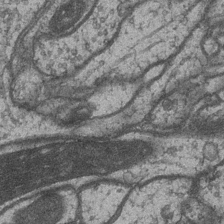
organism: Drosophila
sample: Optic medulla